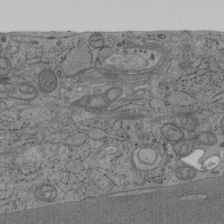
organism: Human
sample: HeLa cells